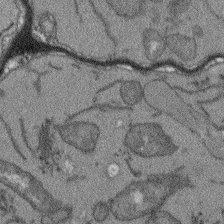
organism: Arabidopsis thaliana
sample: Root tip